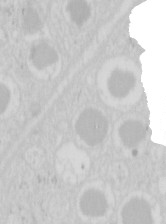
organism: Mouse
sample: Pancreas